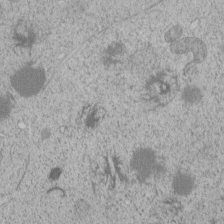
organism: C. elegans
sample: C. elegans embryo early stage